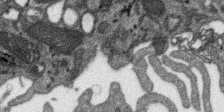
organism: Human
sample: Lung epithelial cells infected with SARS-CoV-2